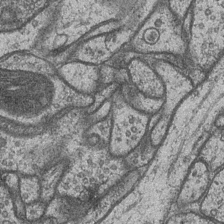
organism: Drosophila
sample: Optic medulla